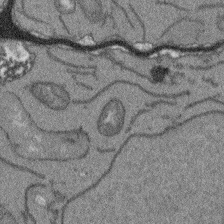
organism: Arabidopsis thaliana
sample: Root tip